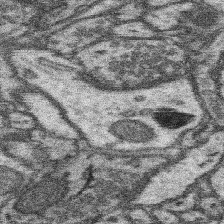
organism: Mouse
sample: Somatosensory cortex neuropil